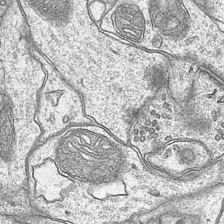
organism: Mouse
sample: CA1 Hippocampus